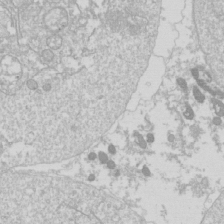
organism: Drosophila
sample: Cell division; meiosis; drosophila spermatocytes